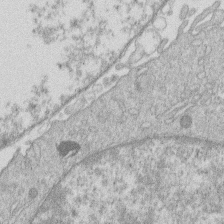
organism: Human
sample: Macrophage cells